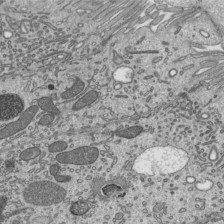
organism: Mouse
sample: Mouse epididymis efferent ductule cilia